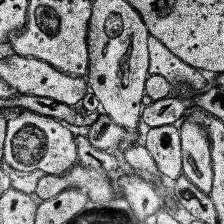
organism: Human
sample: Temporal Lobe